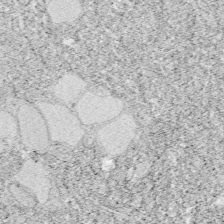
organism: Zebrafish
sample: Whole-Brain